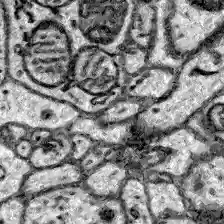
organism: Zebrafish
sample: Brain